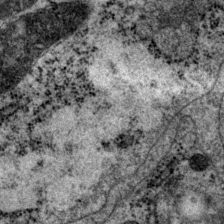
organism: P. pacificus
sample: Pharynx